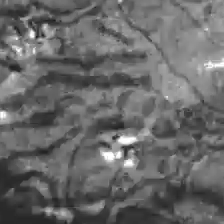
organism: C57BL Mouse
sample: Liver